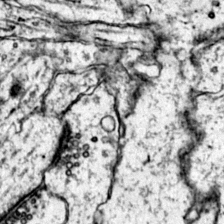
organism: Mouse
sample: Primary visual cortex